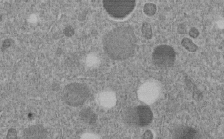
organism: C. elegans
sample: C. elegans embryo early stage